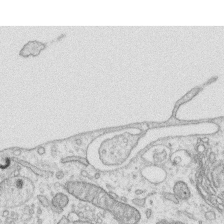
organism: Human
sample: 1205lu cells